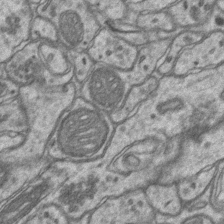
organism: Mouse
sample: CA1 Hippocampus